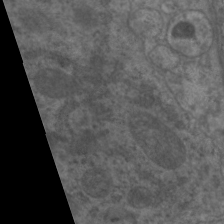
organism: C. elegans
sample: Pharynx